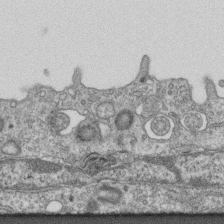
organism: Mouse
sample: Centriole in ependymal cells